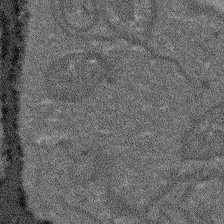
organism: Arabidopsis thaliana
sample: Root tip